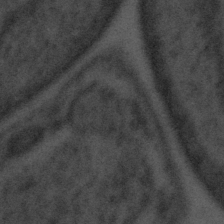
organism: Tuwongella immobilis